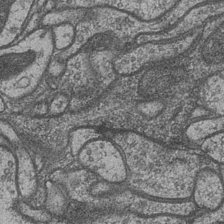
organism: Drosophila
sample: Optic medulla